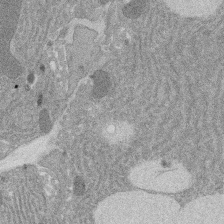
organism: Rat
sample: Salivary granule